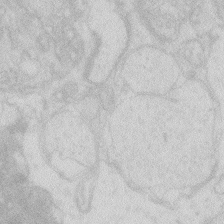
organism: Zebrafish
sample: Macrophage